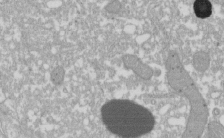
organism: Xenopus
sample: Cilia; centrioles in frog embryo cells